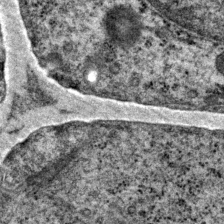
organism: P. pacificus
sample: Pharynx